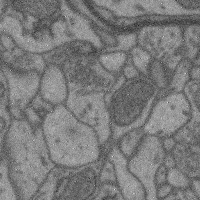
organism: Mouse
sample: Cerebral cortex